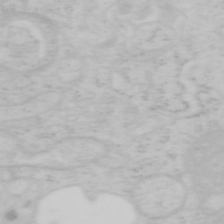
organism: Mouse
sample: OT-I killer T cells with ID8 ovarian cancer cells